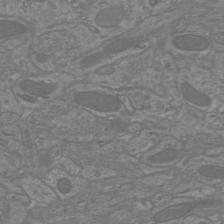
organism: Mouse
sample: Cortical neurons